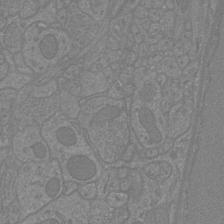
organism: Mouse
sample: Cortical neurons